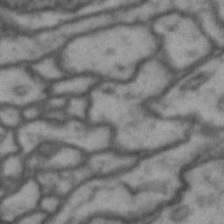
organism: Drosophila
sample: Brain